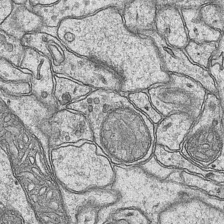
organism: Mouse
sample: CA1 Hippocampus